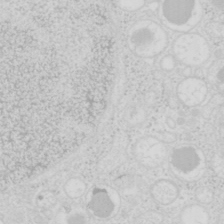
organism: Mouse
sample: Pancreas